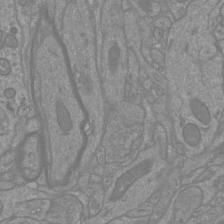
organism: Mouse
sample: Cortical neurons